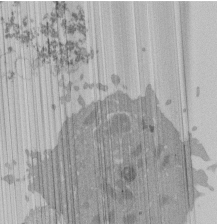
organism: Mouse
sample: Activated Pmel transgenic CD8+ T Cells